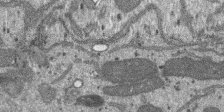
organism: Human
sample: Lung epithelial cells infected with SARS-CoV-2